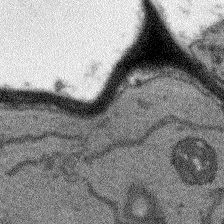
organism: Arabidopsis thaliana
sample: Root tip